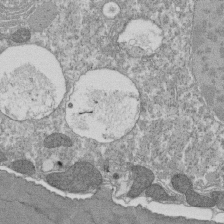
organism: Tetrahymena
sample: Cilia in tetrahymena